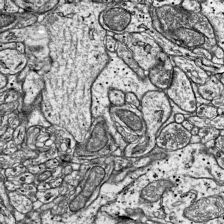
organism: Mouse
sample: Visual Cortex